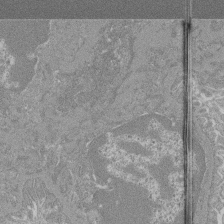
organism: Mouse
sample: Glomerulus